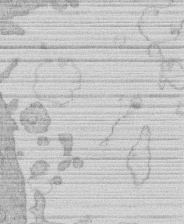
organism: Human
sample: Macrophage cells